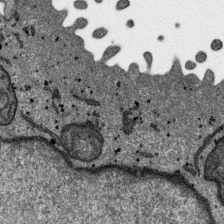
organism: Human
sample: Lung epithelial cells, uninfected (mock) control